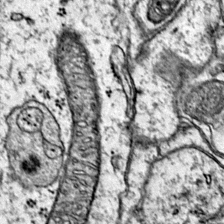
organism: Mouse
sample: Primary visual cortex